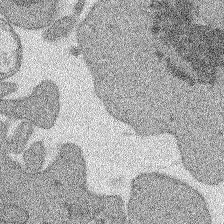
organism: Human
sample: HeLa cells